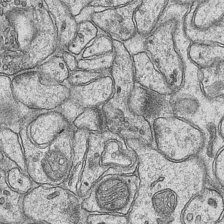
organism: Mouse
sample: CA1 Hippocampus